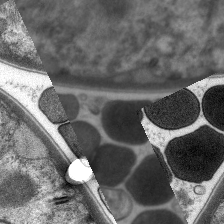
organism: C. elegans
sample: Pharynx